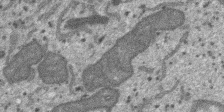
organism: Human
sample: Lung epithelial cells infected with SARS-CoV-2